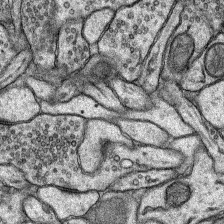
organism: Rat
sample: Hippocampus